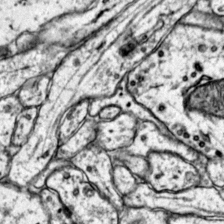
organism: Mouse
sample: Primary visual cortex